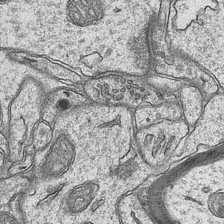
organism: Mouse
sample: CA1 Hippocampus